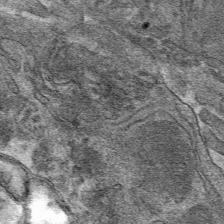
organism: Mouse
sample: Mouse hepatocytes